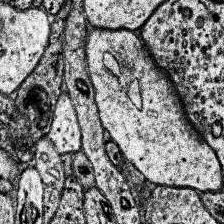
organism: Human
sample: Temporal Lobe